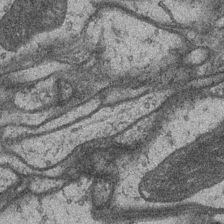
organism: Drosophila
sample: Optic medulla